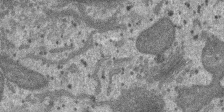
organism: Human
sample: Lung epithelial cells infected with SARS-CoV-2